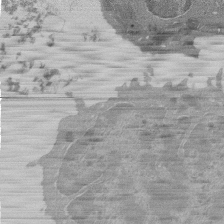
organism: Mouse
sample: Activated Pmel transgenic CD8+ T Cells